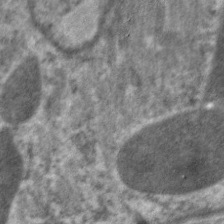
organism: C. elegans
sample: Pharynx